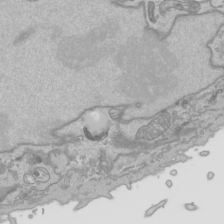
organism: Human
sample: Mitochondria in HCT116 cells